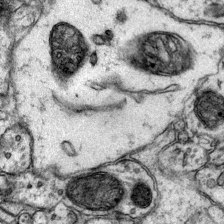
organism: Mouse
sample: Primary visual cortex